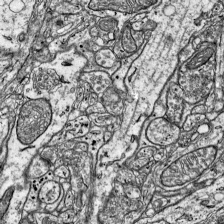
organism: Mouse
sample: Visual Cortex